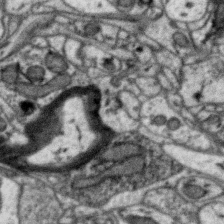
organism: Zebra finch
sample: Brain